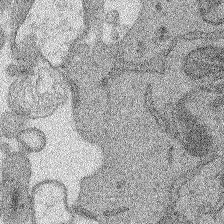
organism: Human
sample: HeLa cells